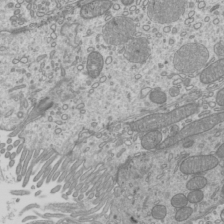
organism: Mouse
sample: Cilia; mouse epididymis